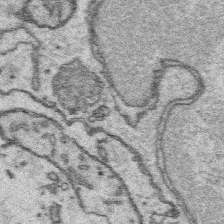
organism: Platynereis dumerilii